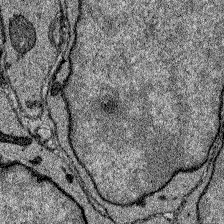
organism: Zebrafish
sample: Larval olfactory bulb